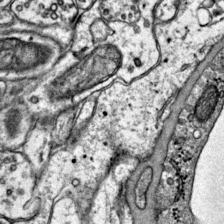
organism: Mouse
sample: Primary visual cortex